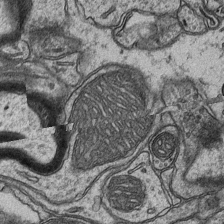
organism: Mouse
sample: CA1 Hippocampus